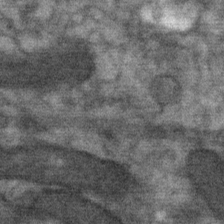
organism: Mouse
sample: Mouse Salivary gland